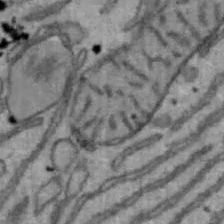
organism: Mouse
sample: Liver